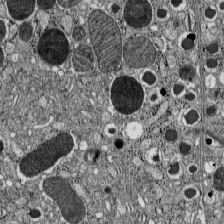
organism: C57BL Mouse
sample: Pancreatic islet